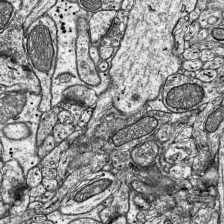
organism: Mouse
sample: Visual Cortex